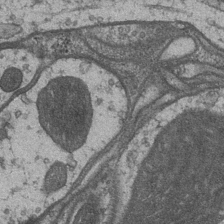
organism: Drosophila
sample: Optic medulla